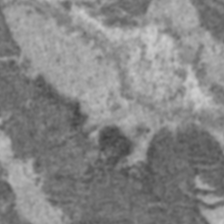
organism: C57BL Mouse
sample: Heart